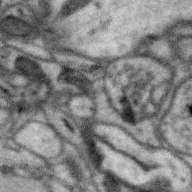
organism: Zebra finch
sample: Brain